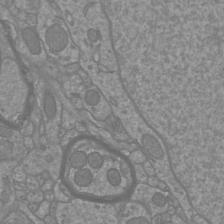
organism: Mouse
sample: Cortical neurons